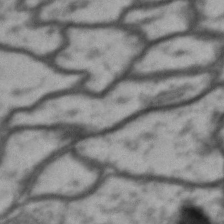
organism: Drosophila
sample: Brain